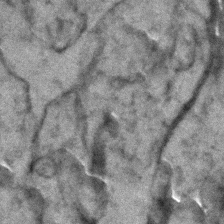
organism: Zebrafish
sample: Zebrafish embryo